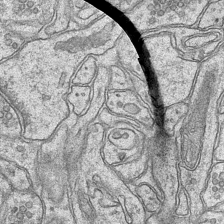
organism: Mouse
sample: CA1 Hippocampus